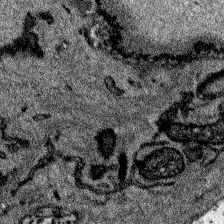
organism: Zebrafish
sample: Larval olfactory bulb